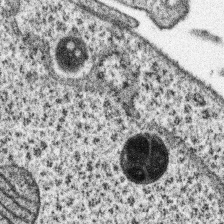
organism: Human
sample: HeLa cells